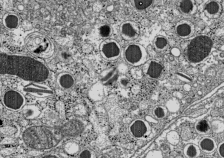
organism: C57BL Mouse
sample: Pancreatic islet